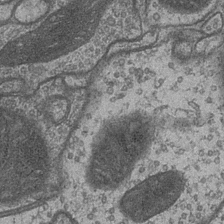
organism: Drosophila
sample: Optic medulla